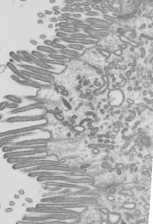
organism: Mouse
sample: Mouse epididymis efferent ductule cilia